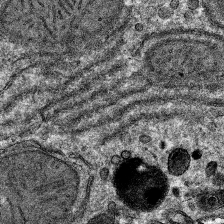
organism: Mouse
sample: Mouse hepatocytes